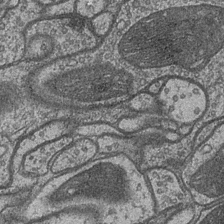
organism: Drosophila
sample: Optic medulla